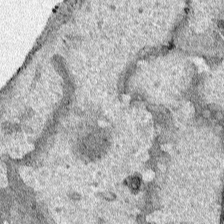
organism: Human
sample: Mitochondria in HCT116 cells